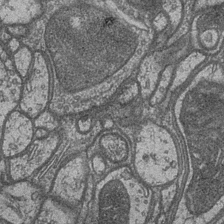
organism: Drosophila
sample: Optic medulla